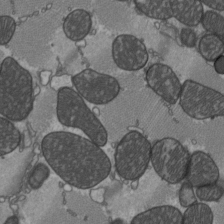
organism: C57BL Mouse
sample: Heart